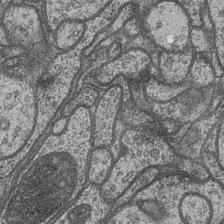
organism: Drosophila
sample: Optic medulla